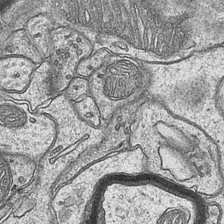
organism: Mouse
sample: CA1 Hippocampus